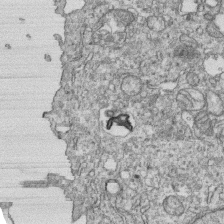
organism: Human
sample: HeLa cell HIV synapse